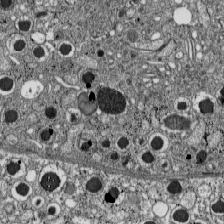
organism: C57BL Mouse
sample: Pancreatic islet